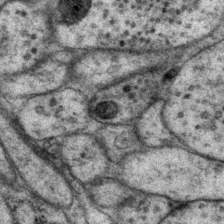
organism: P. pacificus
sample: Pharynx